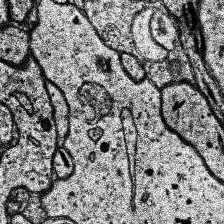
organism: Human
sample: Temporal Lobe